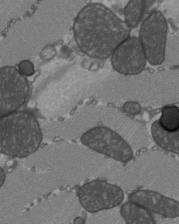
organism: C57BL Mouse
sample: Heart